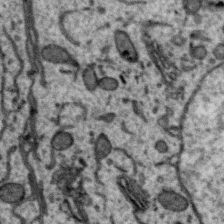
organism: Zebra finch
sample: Brain